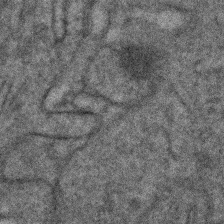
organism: Human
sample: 1205lu cells